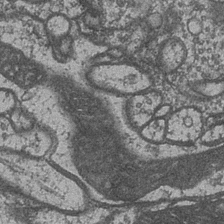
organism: Drosophila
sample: Optic medulla